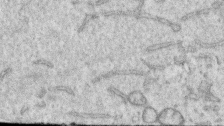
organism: Human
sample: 1205lu cells